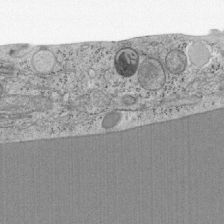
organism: Human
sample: HeLa cells